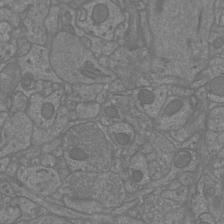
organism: Mouse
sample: Cortical neurons